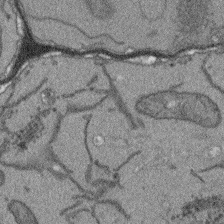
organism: Arabidopsis thaliana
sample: Root tip